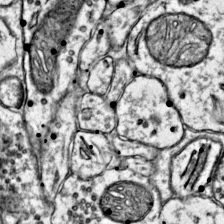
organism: Mouse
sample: Primary visual cortex